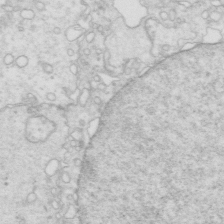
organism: Mouse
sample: Multiciliated cells